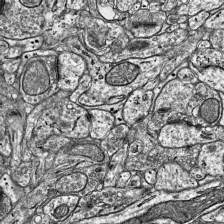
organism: Mouse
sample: Visual Cortex